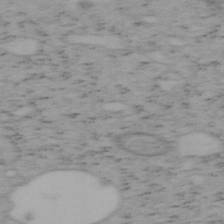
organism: Mouse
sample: OT-I killer T cells with ID8 ovarian cancer cells